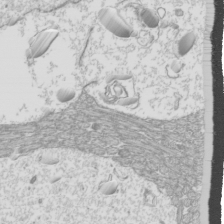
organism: Mouse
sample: Cilia; mouse epididymis